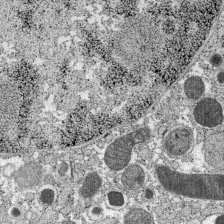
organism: C57BL Mouse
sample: Pancreatic islet